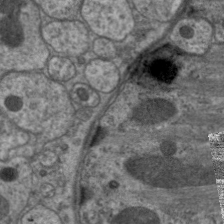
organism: C. elegans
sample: Pharynx